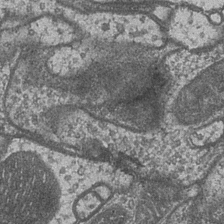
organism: Drosophila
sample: Optic medulla